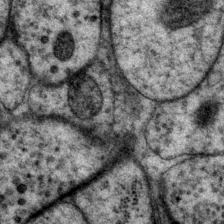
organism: P. pacificus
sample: Pharynx